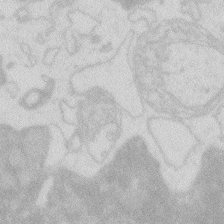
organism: Zebrafish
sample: Macrophage